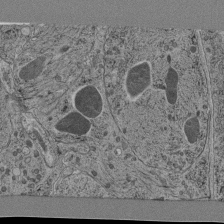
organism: C. elegans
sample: C. elegans pharynx